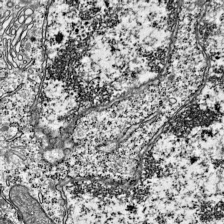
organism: Mouse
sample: Visual Cortex